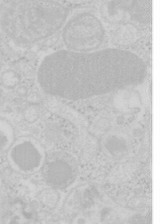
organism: Mouse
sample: Pancreas